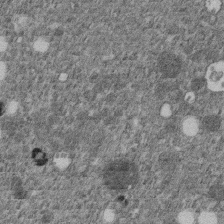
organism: C. elegans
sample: C. elegans embryo early stage